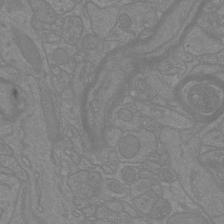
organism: Mouse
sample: Cortical neurons